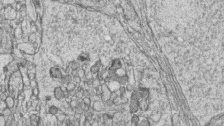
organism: Zebrafish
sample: synaptic ribbons in rod cells and cone cells